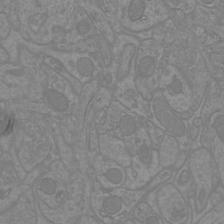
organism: Mouse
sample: Cortical neurons